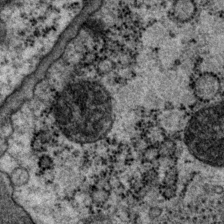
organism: P. pacificus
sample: Pharynx